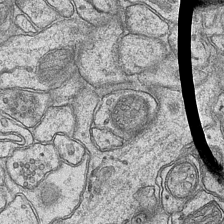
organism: Mouse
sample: CA1 Hippocampus